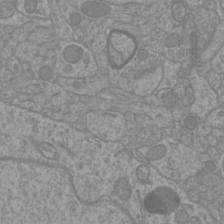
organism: Mouse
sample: Cortical neurons